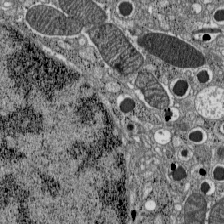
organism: C57BL Mouse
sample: Pancreatic islet